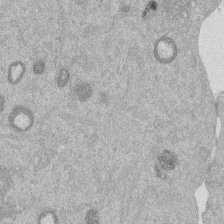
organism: Mouse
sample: Dividing mouse embryo 1 cell stage